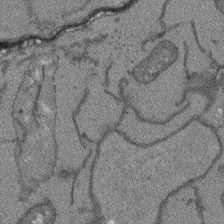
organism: Arabidopsis thaliana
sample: Root tip